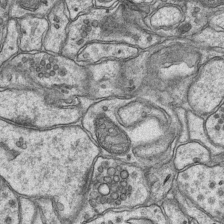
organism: Mouse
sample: CA1 Hippocampus